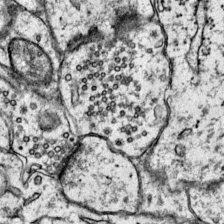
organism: Mouse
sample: Primary visual cortex